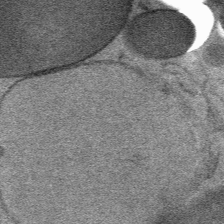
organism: Mouse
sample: Mouse Salivary gland